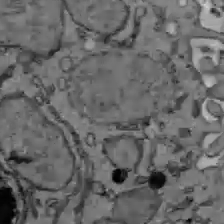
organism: C57BL Mouse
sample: Liver